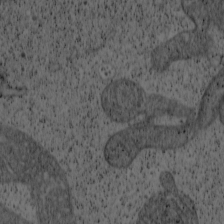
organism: African green monkey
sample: COS-7 cells